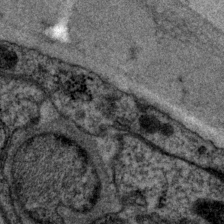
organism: P. pacificus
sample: Pharynx